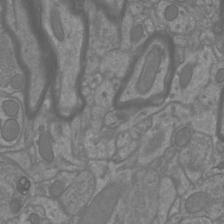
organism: Mouse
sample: Cortical neurons